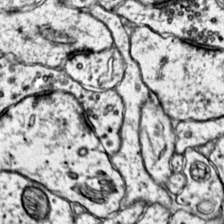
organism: Mouse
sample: Primary visual cortex